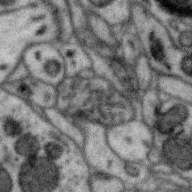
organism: Zebra finch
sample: Brain